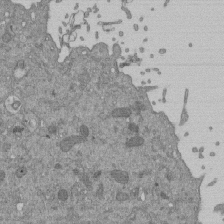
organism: Mouse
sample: ED-1 cell nuclei; centrioles